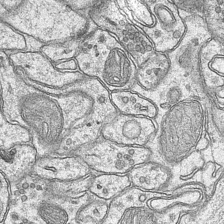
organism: Mouse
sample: CA1 Hippocampus